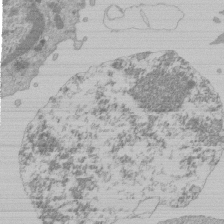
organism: Mouse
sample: Activated Pmel transgenic CD8+ T Cells